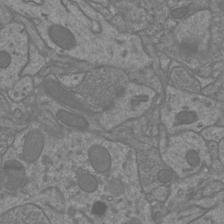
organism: Mouse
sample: Cortical neurons